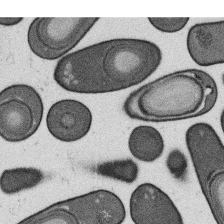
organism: B. subtilis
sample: Bacterial spore